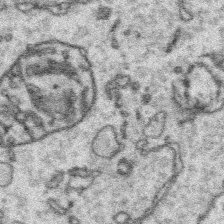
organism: Platynereis dumerilii